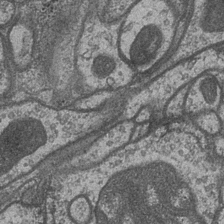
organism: Drosophila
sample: Optic medulla